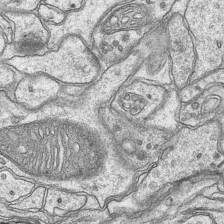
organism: Mouse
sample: CA1 Hippocampus